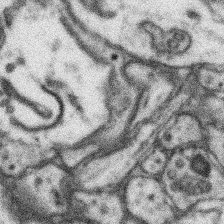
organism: Mouse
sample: Somatosensory cortex neuropil